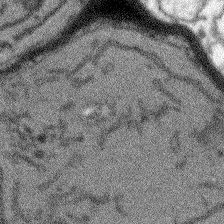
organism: Arabidopsis thaliana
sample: Root tip